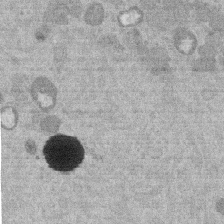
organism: Mouse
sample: Dividing mouse embryo 1 cell stage